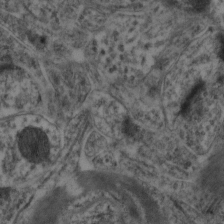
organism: Mouse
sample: Neocortex